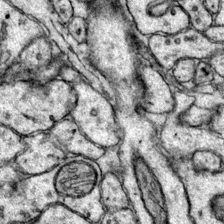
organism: Mouse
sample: Primary visual cortex